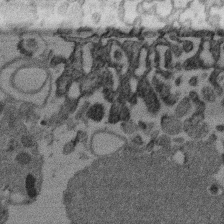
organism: Mouse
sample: Dividing mouse embryo 1 cell stage